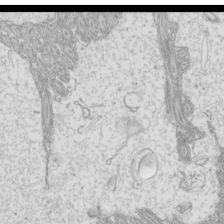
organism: Mouse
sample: Cilia; mouse epididymis